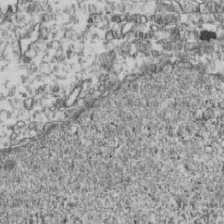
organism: Human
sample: Activated Jurkat CD4+ T cells